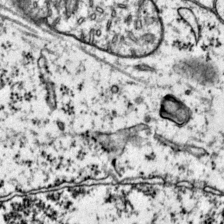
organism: Mouse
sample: Primary visual cortex